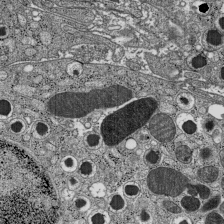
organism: C57BL Mouse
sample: Pancreatic islet